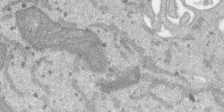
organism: Human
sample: Lung epithelial cells infected with SARS-CoV-2